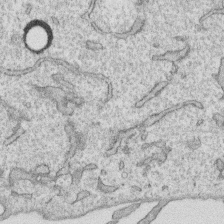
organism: Human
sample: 1205lu cells